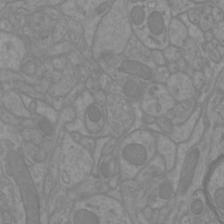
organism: Mouse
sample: Cortical neurons